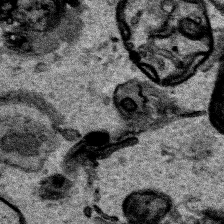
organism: Human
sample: Mitochondria in HCT116 cells